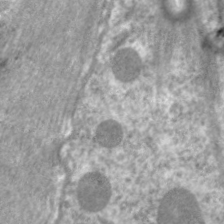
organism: C. elegans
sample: Pharynx